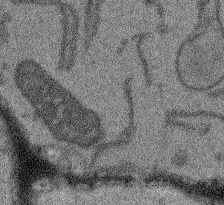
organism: Arabidopsis thaliana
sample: Root tip